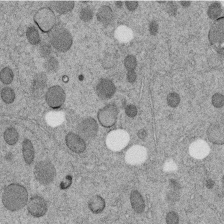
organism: C. elegans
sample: C. elegans embryo early stage